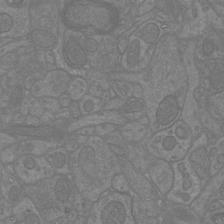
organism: Mouse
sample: Cortical neurons